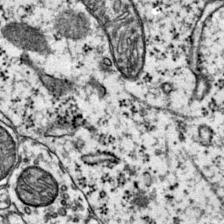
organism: Mouse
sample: Primary visual cortex